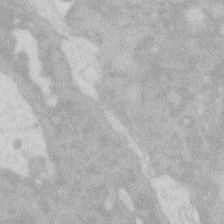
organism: Zebrafish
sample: Macrophage